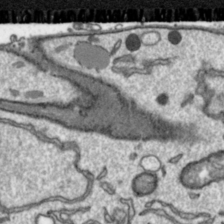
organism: Toxoplasma gondii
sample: Parasites in a vacuole inside a host cell